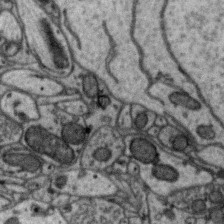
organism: Zebra finch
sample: Brain